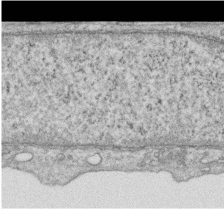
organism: Human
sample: Centriole in RPE cells